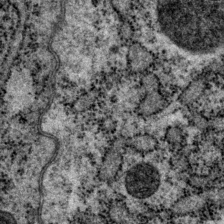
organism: P. pacificus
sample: Pharynx